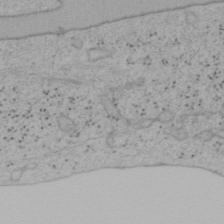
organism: Human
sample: HeLa cells